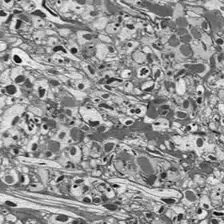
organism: Drosophila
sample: Optic lobe